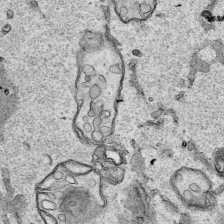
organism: Human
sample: Mitochondria in HCT116 cells